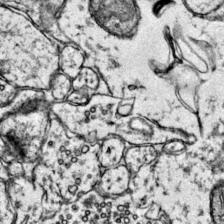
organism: Mouse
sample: Primary visual cortex